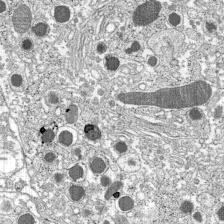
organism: C57BL Mouse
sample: Pancreatic islet